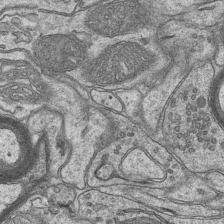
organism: Mouse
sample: CA1 Hippocampus